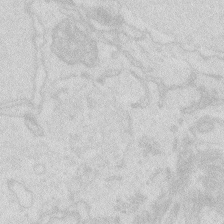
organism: Zebrafish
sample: Macrophage